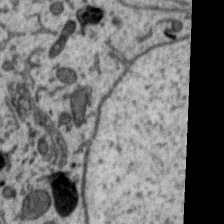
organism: Zebra finch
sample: Brain